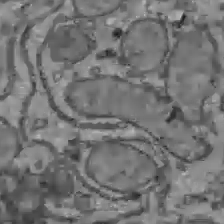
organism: C57BL Mouse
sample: Liver